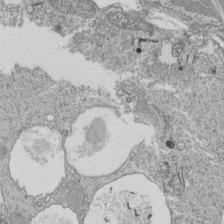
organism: Tetrahymena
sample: Cilia in tetrahymena